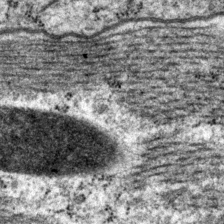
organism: P. pacificus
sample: Pharynx